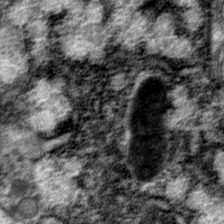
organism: P. pacificus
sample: Pharynx